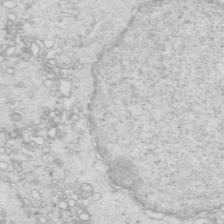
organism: Mouse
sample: Multiciliated cells